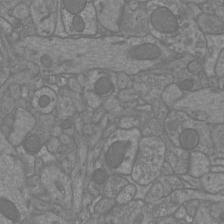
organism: Mouse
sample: Cortical neurons